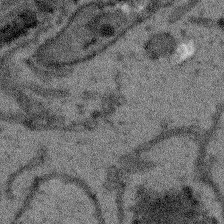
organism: Arabidopsis thaliana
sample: Root tip